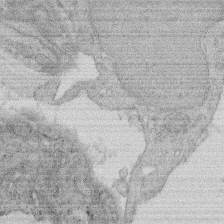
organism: Rat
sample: Salivary granule